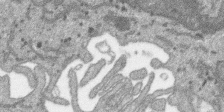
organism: Human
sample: Lung epithelial cells infected with SARS-CoV-2